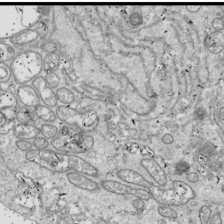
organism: Drosophila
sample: Cell division; meiosis; drosophila spermatocytes